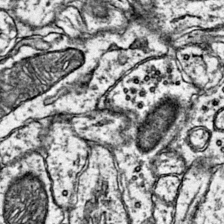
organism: Mouse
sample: Primary visual cortex